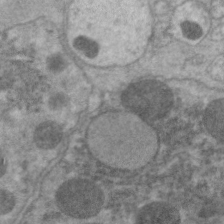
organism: C. elegans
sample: Pharynx